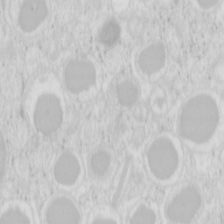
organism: Mouse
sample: Pancreas